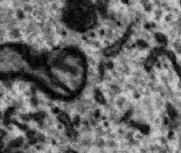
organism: Human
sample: HeLa cells